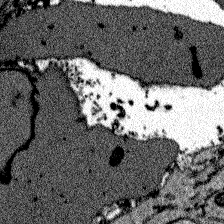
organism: Zebrafish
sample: Larval olfactory bulb